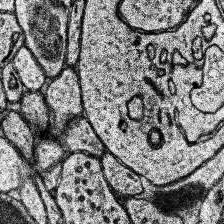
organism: Human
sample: Temporal Lobe